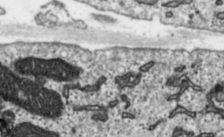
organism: Toxoplasma gondii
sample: Parasites in a vacuole inside a host cell